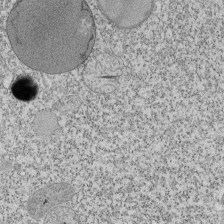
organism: Tetrahymena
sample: Cilia in tetrahymena